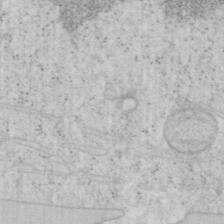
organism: Human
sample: HeLa cells